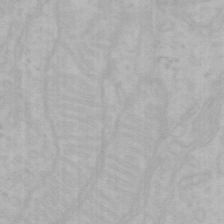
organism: Mouse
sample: Choroid plexus